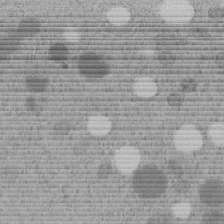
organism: C. elegans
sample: C. elegans embryo early stage